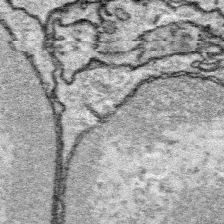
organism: Platynereis dumerilii